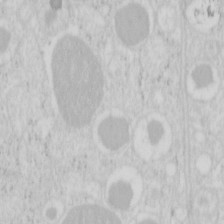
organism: Mouse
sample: Pancreas